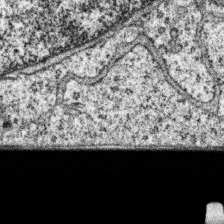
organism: Human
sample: HeLa cells